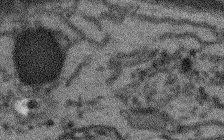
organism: Arabidopsis thaliana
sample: Root tip